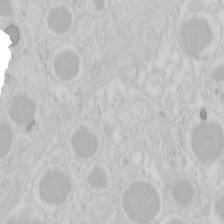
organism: Mouse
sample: Pancreas